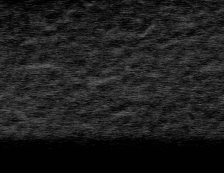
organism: Human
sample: HeLa cells